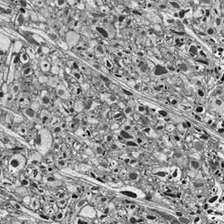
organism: Drosophila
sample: Optic lobe